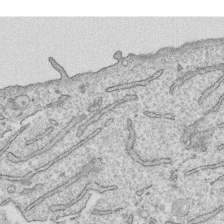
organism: Human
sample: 1205lu cells